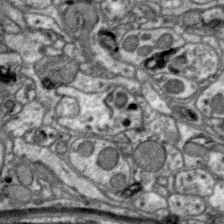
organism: Zebra finch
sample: Brain